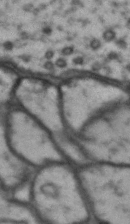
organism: Drosophila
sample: Brain